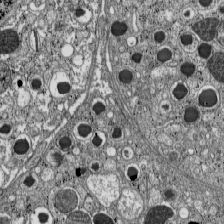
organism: C57BL Mouse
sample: Pancreatic islet